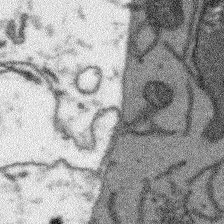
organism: Arabidopsis thaliana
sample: Root tip